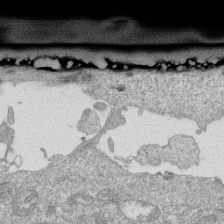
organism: Human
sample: HeLa cell HIV synapse